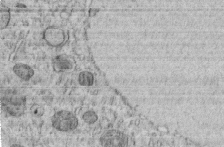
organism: C. elegans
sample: C. elegans embryo early stage